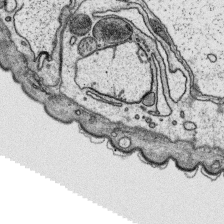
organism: Platynereis dumerilii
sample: Parapodia